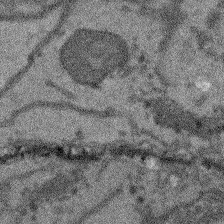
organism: Arabidopsis thaliana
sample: Root tip